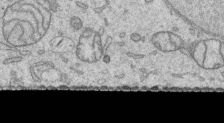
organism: Human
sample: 1205lu cells